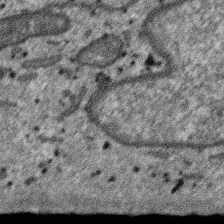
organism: Human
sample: Lung epithelial cells infected with SARS-CoV-2